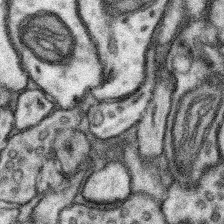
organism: Mouse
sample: Somatosensory cortex neuropil